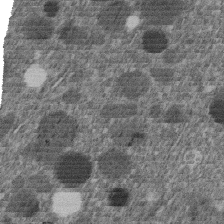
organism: C. elegans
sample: C. elegans embryo early stage